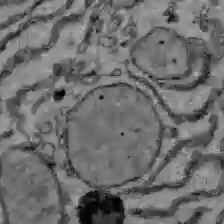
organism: C57BL Mouse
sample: Liver